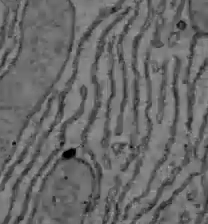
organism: C57BL Mouse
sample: Liver